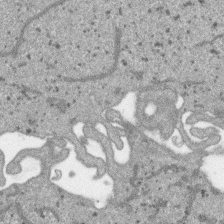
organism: Human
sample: Lung epithelial cells infected with SARS-CoV-2